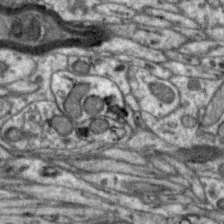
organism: Zebra finch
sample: Brain